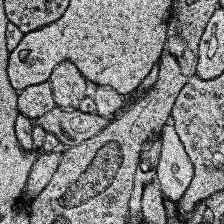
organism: Human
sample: Temporal Lobe